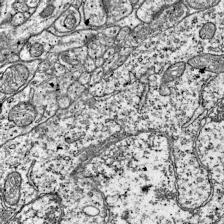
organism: Mouse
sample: Visual Cortex